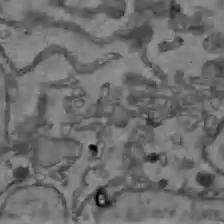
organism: C57BL Mouse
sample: Liver